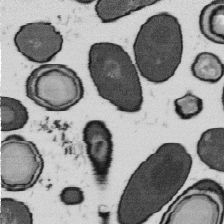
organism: B. subtilis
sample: Bacterial spore